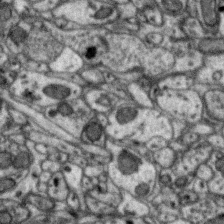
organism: Zebra finch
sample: Brain